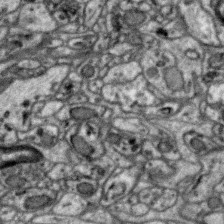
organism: Zebra finch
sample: Brain